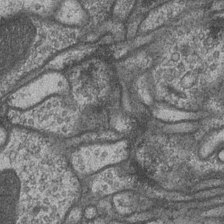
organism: Drosophila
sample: Optic medulla